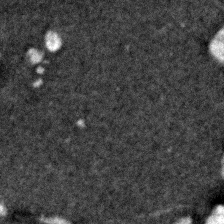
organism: Zebrafish